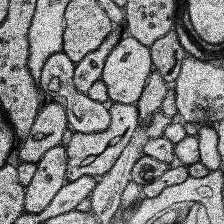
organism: Human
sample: Temporal Lobe